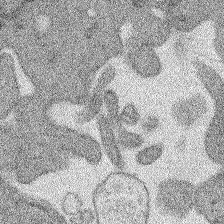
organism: Human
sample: HeLa cells